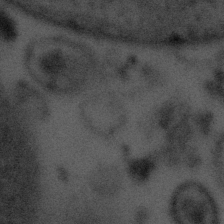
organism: Tuwongella immobilis